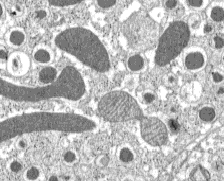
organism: C57BL Mouse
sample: Pancreatic islet